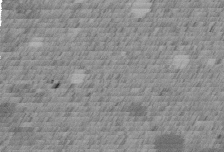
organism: C. elegans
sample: C. elegans embryo early stage